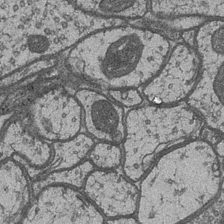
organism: Drosophila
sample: Optic medulla